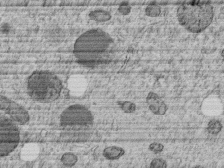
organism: C. elegans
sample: C. elegans embryo early stage